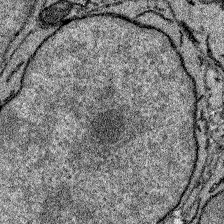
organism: Zebrafish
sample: Larval olfactory bulb